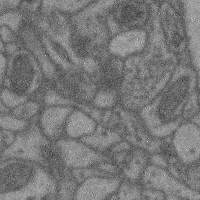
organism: Mouse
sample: Cerebral cortex